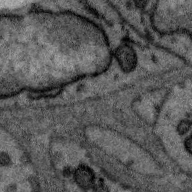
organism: Zebra finch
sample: Brain